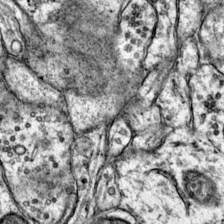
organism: Mouse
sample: Primary visual cortex